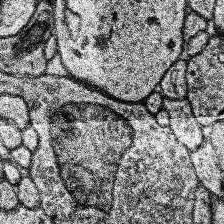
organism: Human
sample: Temporal Lobe